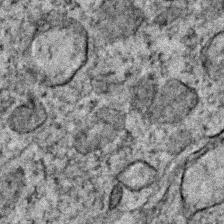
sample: Trachea